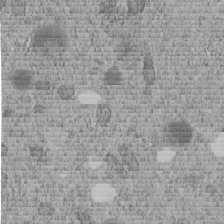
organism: C. elegans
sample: C. elegans embryo early stage